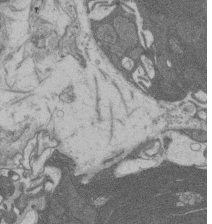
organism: Rat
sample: Salivary granule